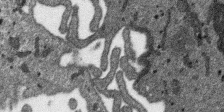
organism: Human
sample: Lung epithelial cells infected with SARS-CoV-2